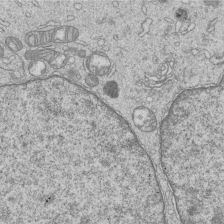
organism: Human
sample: MDA-MB-231 cells